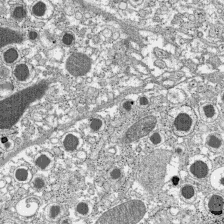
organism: C57BL Mouse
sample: Pancreatic islet